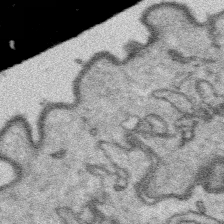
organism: Platynereis dumerilii